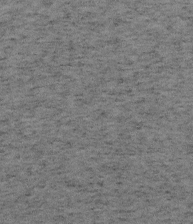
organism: Mouse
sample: OT-I killer T cells with ID8 ovarian cancer cells